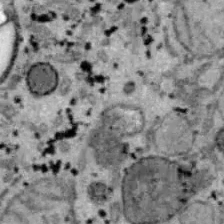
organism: Mouse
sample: Liver from an obese (ob/ob) mouse